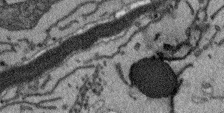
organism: Arabidopsis thaliana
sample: Root tip